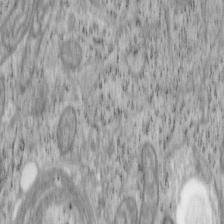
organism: Human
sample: HeLa cells